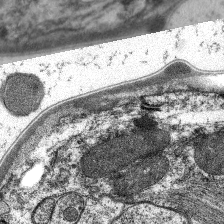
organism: C. elegans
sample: Pharynx